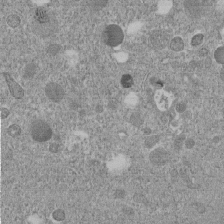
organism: C. elegans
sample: C. elegans embryo early stage